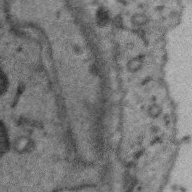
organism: Zebra finch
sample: Brain